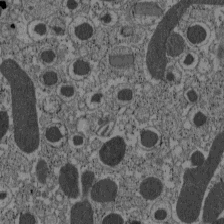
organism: C57BL Mouse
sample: Pancreatic islet